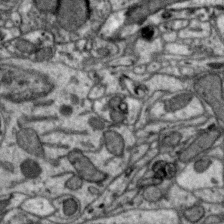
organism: Zebra finch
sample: Brain